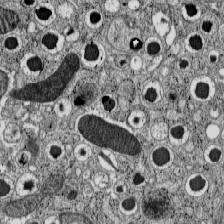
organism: C57BL Mouse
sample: Pancreatic islet